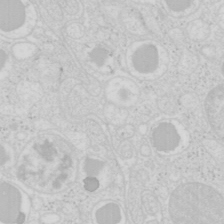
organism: Mouse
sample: Pancreas